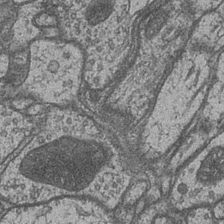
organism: Drosophila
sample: Optic medulla